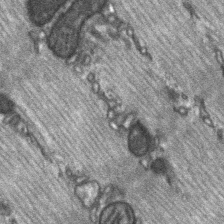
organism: C57BL Mouse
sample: Soleus